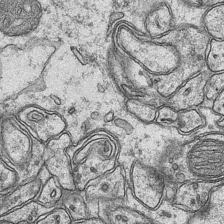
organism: Mouse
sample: CA1 Hippocampus